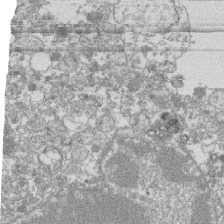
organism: Human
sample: HeLa cell HIV synapse